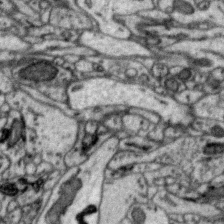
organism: Zebra finch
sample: Brain